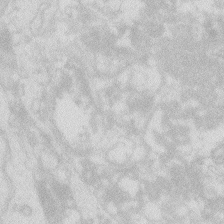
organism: Zebrafish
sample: Macrophage